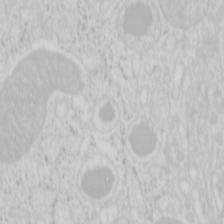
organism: Mouse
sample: Pancreas